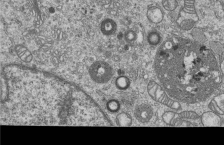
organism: Human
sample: MDA-MB-231 cells